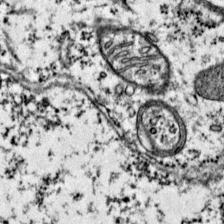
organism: Mouse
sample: Primary visual cortex